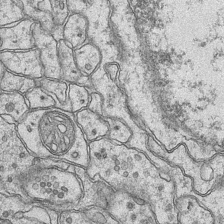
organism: Mouse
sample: CA1 Hippocampus